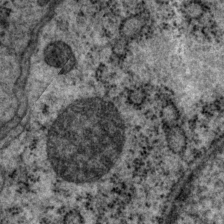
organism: P. pacificus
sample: Pharynx